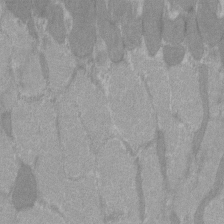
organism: C57BL Mouse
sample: Tibialis anterior muscle cell